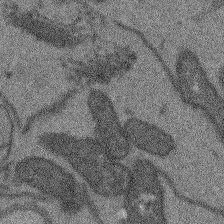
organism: Arabidopsis thaliana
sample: Root tip